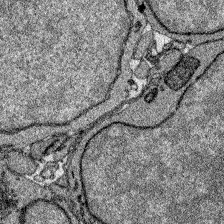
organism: Zebrafish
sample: Larval olfactory bulb